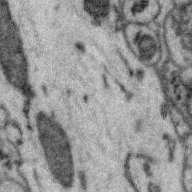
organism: Zebra finch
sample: Brain